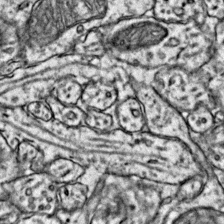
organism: Mouse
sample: Primary visual cortex